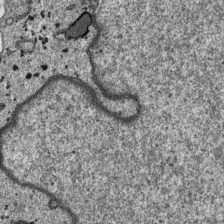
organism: Human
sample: Lung epithelial cells infected with SARS-CoV-2